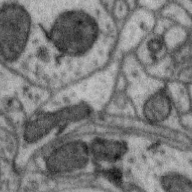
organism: Zebra finch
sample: Brain